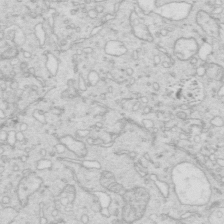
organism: Mouse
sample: Multiciliated cells